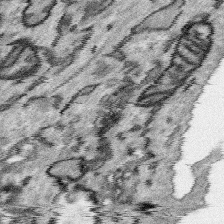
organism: Human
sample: HeLa cells